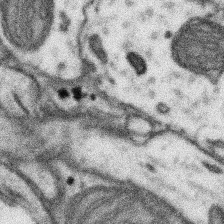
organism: Mouse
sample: Somatosensory cortex neuropil